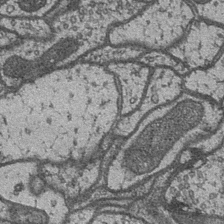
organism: Drosophila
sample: Optic medulla